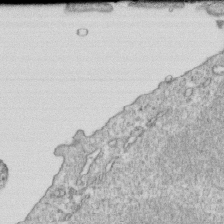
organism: Mouse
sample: Activated OT-1 CD8+ T cells